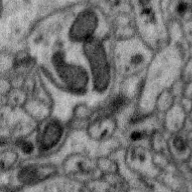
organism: Zebra finch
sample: Brain